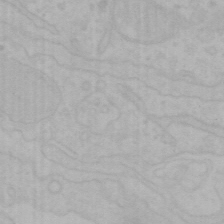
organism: Mouse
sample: Choroid plexus